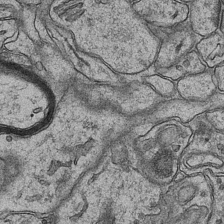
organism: Mouse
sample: CA1 Hippocampus